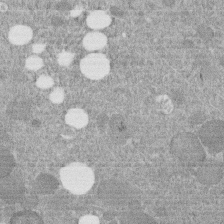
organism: C. elegans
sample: C. elegans embryo early stage